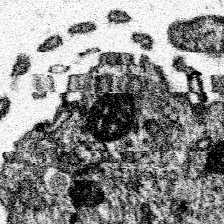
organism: Spongilla lacustris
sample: Neuroid cell